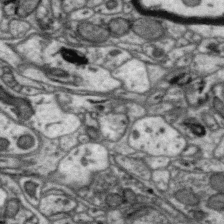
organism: Zebra finch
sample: Brain